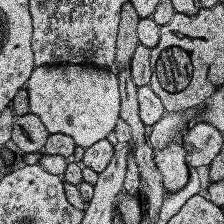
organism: Human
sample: Temporal Lobe